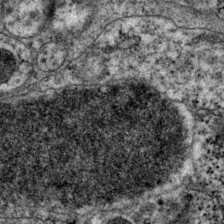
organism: P. pacificus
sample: Pharynx